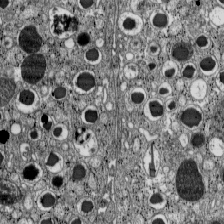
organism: C57BL Mouse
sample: Pancreatic islet